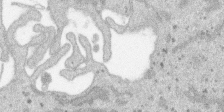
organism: Human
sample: Lung epithelial cells infected with SARS-CoV-2